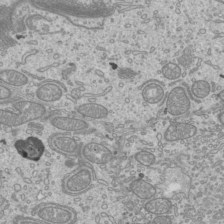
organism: Mouse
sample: Cilia; mouse epididymis